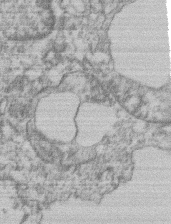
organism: Mouse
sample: T cell stromal cell synapse